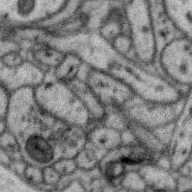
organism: Zebra finch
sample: Brain